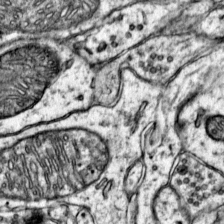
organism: Mouse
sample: Primary visual cortex